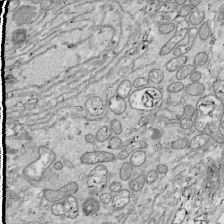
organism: Drosophila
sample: Cell division; meiosis; drosophila spermatocytes